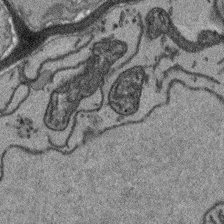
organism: Arabidopsis thaliana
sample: Root tip